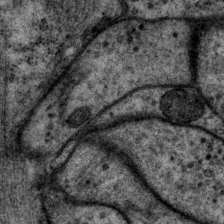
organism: P. pacificus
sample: Pharynx